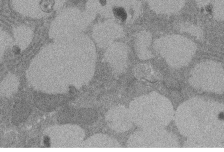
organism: Rat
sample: Salivary granule